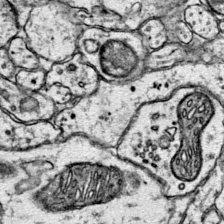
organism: Mouse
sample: Primary visual cortex